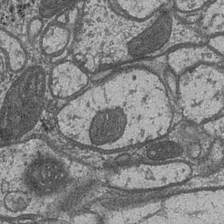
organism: Drosophila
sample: Optic medulla